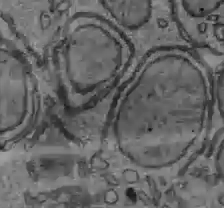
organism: C57BL Mouse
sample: Liver